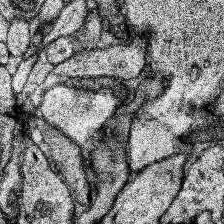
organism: Human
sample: Temporal Lobe